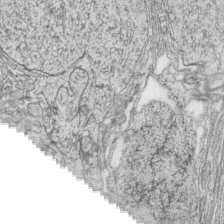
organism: Zebrafish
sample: synaptic ribbons in rod cells and cone cells